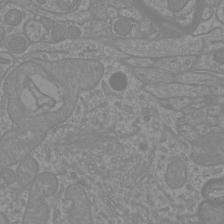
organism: Mouse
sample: Cortical neurons